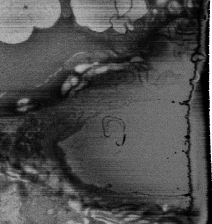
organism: Rat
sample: Salivary granule